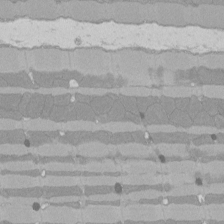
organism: Rat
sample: Left ventricle